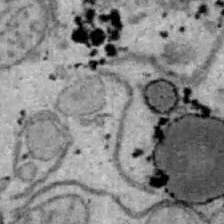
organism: Mouse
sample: Liver from an obese (ob/ob) mouse